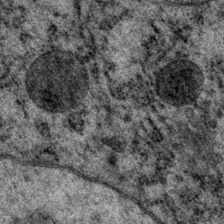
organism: P. pacificus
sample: Pharynx